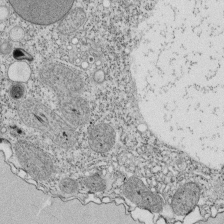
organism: Tetrahymena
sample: Cilia in tetrahymena